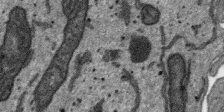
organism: Human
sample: Lung epithelial cells, uninfected (mock) control